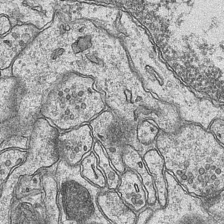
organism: Mouse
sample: CA1 Hippocampus